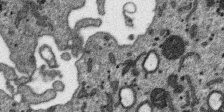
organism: Human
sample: Lung epithelial cells infected with SARS-CoV-2